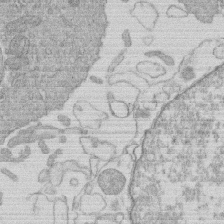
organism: Human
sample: Macrophage cells